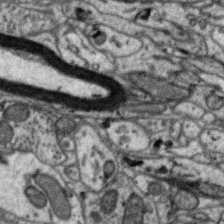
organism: Zebra finch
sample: Brain